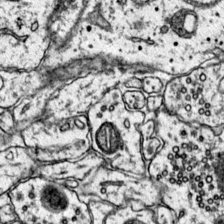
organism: Mouse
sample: Primary visual cortex